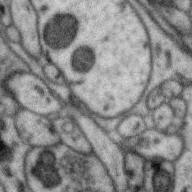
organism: Zebra finch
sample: Brain